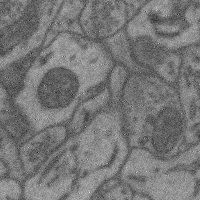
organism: Mouse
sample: Cerebral cortex